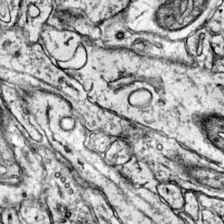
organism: Mouse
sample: Primary visual cortex